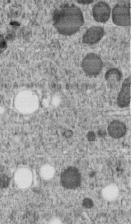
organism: C. elegans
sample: C. elegans embryo early stage